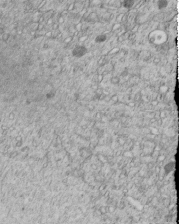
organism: C. elegans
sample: C. elegans embryo early stage